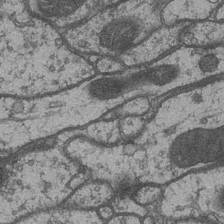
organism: Drosophila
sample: Optic medulla